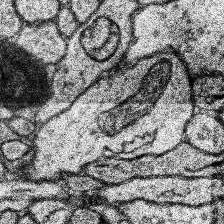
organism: Human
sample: Temporal Lobe